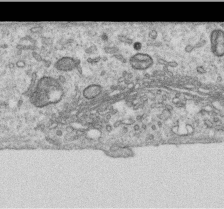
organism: Human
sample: Centriole in RPE cells